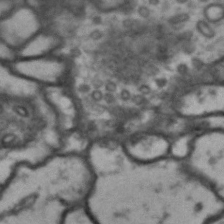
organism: Drosophila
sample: Brain